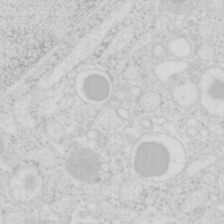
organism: Mouse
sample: Pancreas